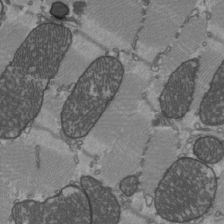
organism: C57BL Mouse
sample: Heart